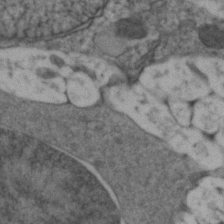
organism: Zebrafish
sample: Zebrafish embryo